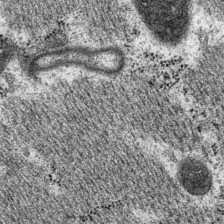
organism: P. pacificus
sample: Pharynx